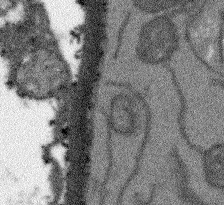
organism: Arabidopsis thaliana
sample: Root tip